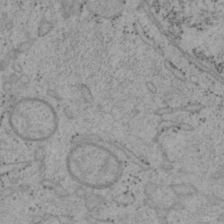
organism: Human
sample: HeLa cells